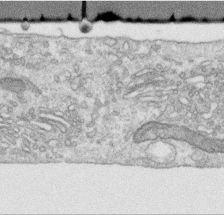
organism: Human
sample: Centriole in RPE cells